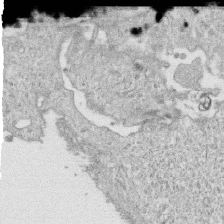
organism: Human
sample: HeLa cell HIV synapse